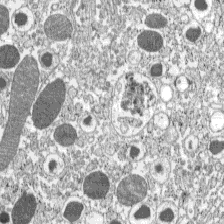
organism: C57BL Mouse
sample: Pancreatic islet